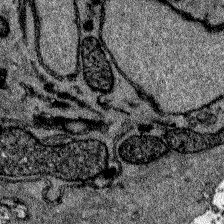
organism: Zebrafish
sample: Larval olfactory bulb